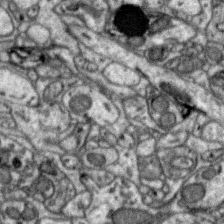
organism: Zebra finch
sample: Brain